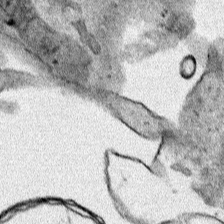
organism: Human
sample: Mitochondria in HCT116 cells